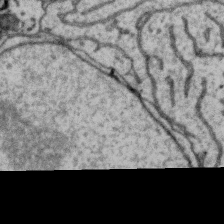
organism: Zebra finch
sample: Brain